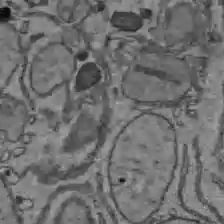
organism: C57BL Mouse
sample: Liver